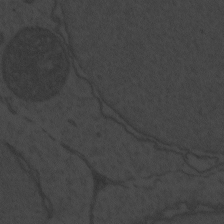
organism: Zebrafish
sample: Macrophage infected with Toxoplasma gondii